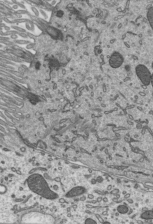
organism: Mouse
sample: Mouse epididymis efferent ductule cilia